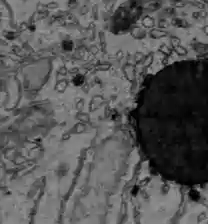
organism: C57BL Mouse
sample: Liver